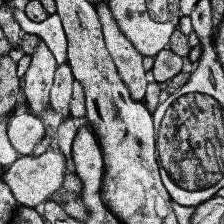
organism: Human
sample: Temporal Lobe